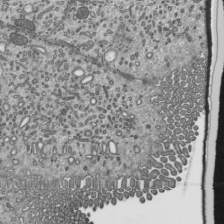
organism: Mouse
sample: Mouse epididymis efferent ductule cilia